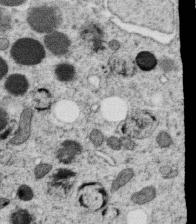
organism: C. elegans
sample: C. elegans oocyte; sperm cells